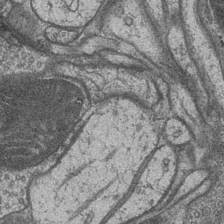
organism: Drosophila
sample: Optic medulla